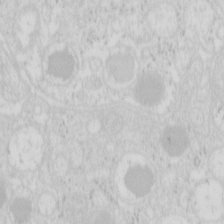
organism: Mouse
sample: Pancreas